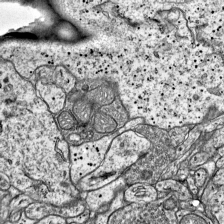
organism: Mouse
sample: Visual Cortex